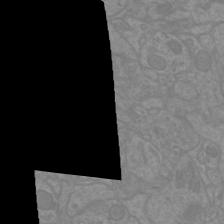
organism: Mouse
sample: Cortical neurons